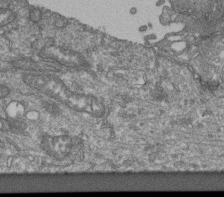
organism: Human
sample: Retinal organoid Rod and Cone cells